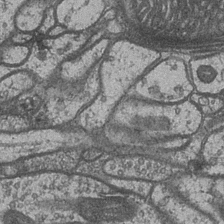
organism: Drosophila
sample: Optic medulla